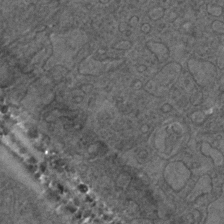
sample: Trachea